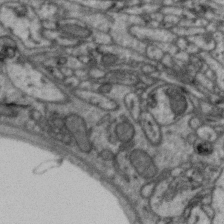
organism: Zebra finch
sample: Brain